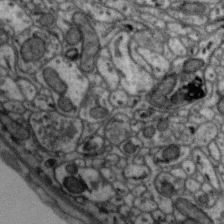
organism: Zebra finch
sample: Brain